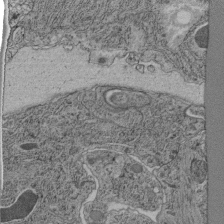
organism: C. elegans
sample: C. elegans pharynx